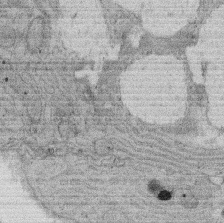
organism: Rat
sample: Salivary granule